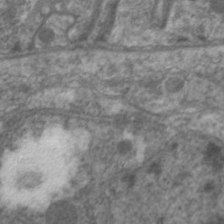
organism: C. elegans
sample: Pharynx